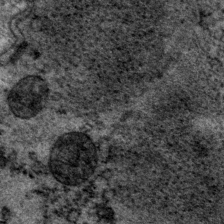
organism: P. pacificus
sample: Pharynx